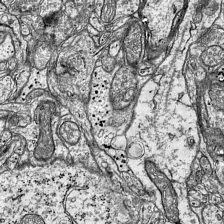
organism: Mouse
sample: Visual Cortex